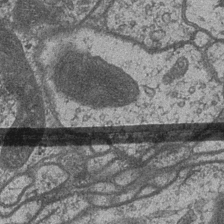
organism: Drosophila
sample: Optic medulla